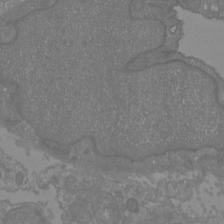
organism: Mouse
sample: Cortical neurons